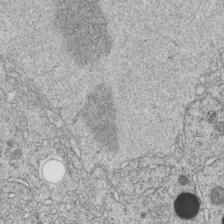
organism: C. elegans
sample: C. elegans embryo early stage